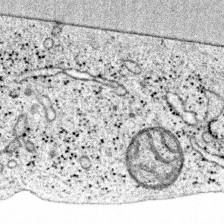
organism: Human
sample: HeLa cells